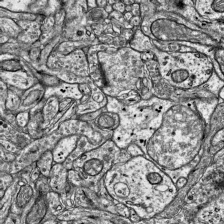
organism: Mouse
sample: Visual Cortex